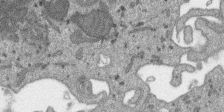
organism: Human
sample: Lung epithelial cells infected with SARS-CoV-2